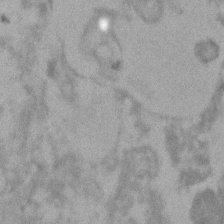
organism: Human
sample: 1205lu cells